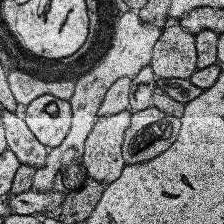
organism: Human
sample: Temporal Lobe